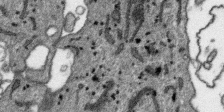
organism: Human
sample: Lung epithelial cells, uninfected (mock) control